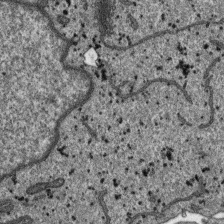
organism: Human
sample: Lung epithelial cells infected with SARS-CoV-2